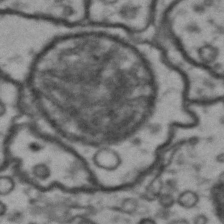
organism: Drosophila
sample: Brain